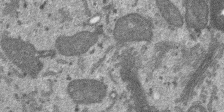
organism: Human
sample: Lung epithelial cells infected with SARS-CoV-2